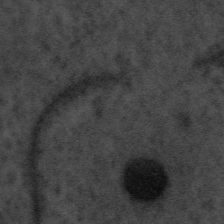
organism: Tuwongella immobilis